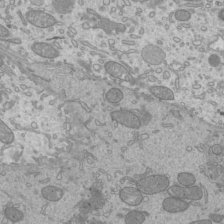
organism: Mouse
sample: Cilia; mouse epididymis